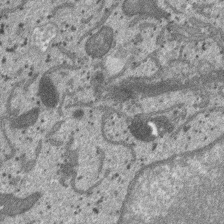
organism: Human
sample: Lung epithelial cells infected with SARS-CoV-2